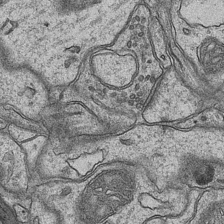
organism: Mouse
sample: CA1 Hippocampus